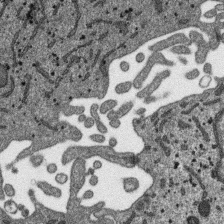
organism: Human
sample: Lung epithelial cells infected with SARS-CoV-2